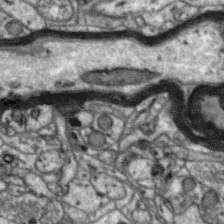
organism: Zebra finch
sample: Brain